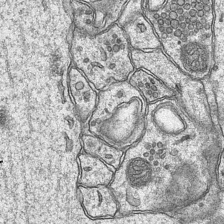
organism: Mouse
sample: CA1 Hippocampus